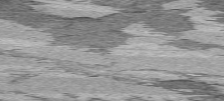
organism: C57BL Mouse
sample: Heart